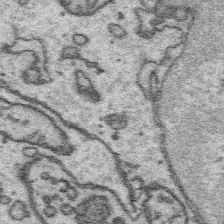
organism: Platynereis dumerilii